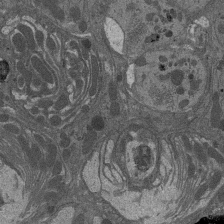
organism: Drosophila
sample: Antenna